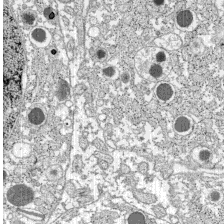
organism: C57BL Mouse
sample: Pancreatic islet